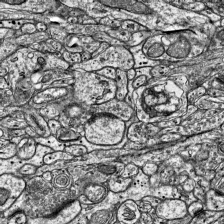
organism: Mouse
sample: Visual Cortex